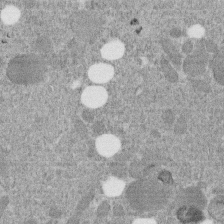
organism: C. elegans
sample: C. elegans embryo early stage